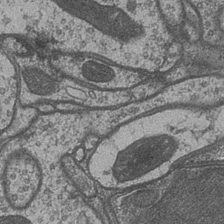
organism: Drosophila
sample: Optic medulla